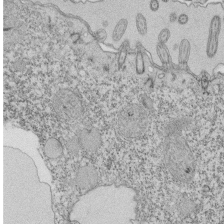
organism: Tetrahymena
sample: Cilia in tetrahymena